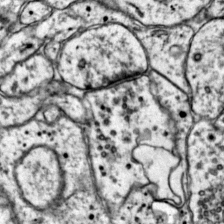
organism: Mouse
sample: Primary visual cortex